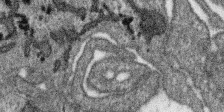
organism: Human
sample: Lung epithelial cells infected with SARS-CoV-2